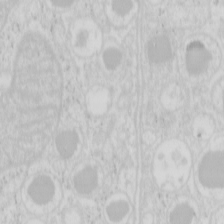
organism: Mouse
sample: Pancreas